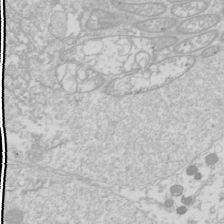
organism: Drosophila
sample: Cell division; meiosis; drosophila spermatocytes